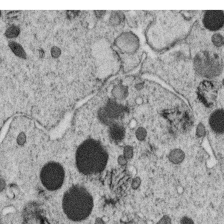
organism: C. elegans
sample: C. elegans oocyte; sperm cells